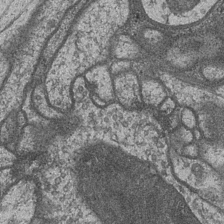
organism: Drosophila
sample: Optic medulla